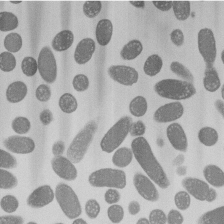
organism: E. coli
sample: Bacterial nucleoid